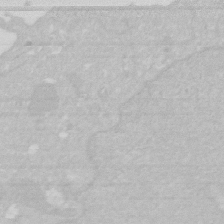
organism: Human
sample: HIV infected U937 cells